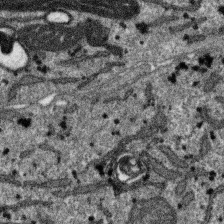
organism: Human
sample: Lung epithelial cells infected with SARS-CoV-2